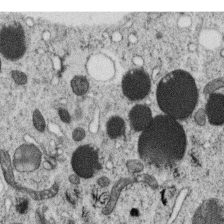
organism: C. elegans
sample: C. elegans oocyte; sperm cells